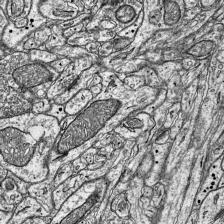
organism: Mouse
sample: Visual Cortex